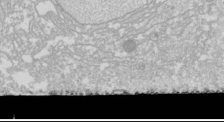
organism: Drosophila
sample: Cell division; meiosis; drosophila spermatocytes